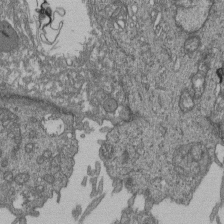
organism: Human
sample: Retinal organoid Rod and Cone cells